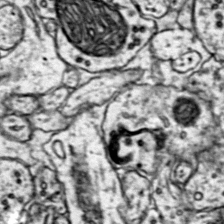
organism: Mouse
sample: Primary visual cortex